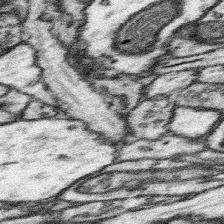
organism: Mouse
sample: Somatosensory cortex neuropil